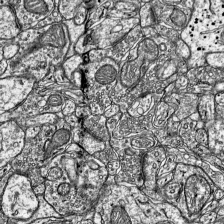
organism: Mouse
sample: Visual Cortex